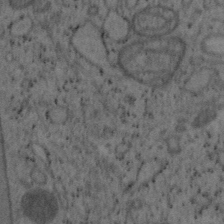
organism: Human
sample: HeLa cells